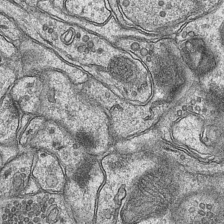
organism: Mouse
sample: CA1 Hippocampus